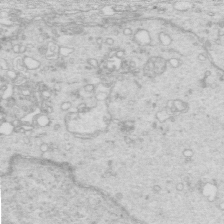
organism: Mouse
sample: Multiciliated cells